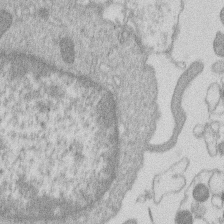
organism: Human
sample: Macrophage cells